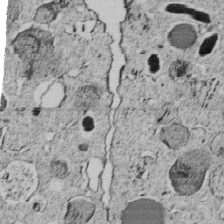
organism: C. elegans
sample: C. elegans embryo early stage